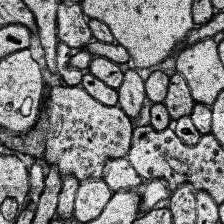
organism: Human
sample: Temporal Lobe